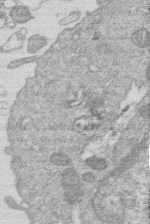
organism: Human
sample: Macrophage cells